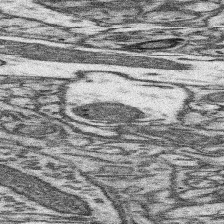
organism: Mouse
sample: Somatosensory cortex neuropil